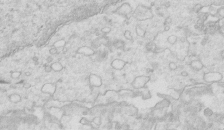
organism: Mouse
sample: Multiciliated cells